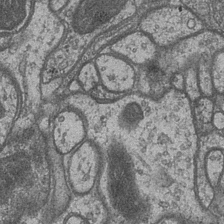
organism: Drosophila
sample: Optic medulla